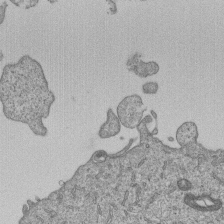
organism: Human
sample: MDA-MB-231 cells